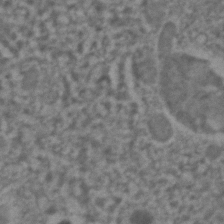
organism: C. elegans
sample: C. elegans embryo